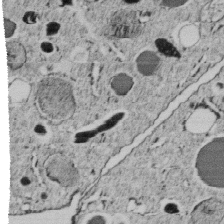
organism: C. elegans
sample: C. elegans embryo early stage